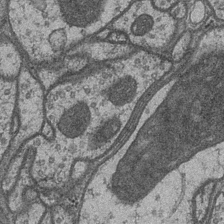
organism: Drosophila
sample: Optic medulla